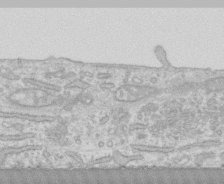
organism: Human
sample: CRL-1474